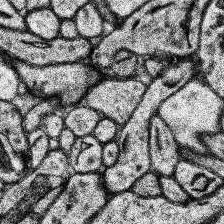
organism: Human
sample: Temporal Lobe